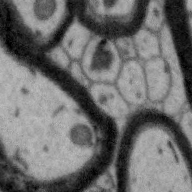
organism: Zebra finch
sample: Brain